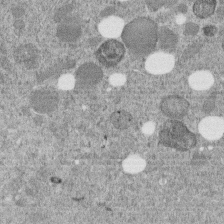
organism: C. elegans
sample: C. elegans embryo early stage